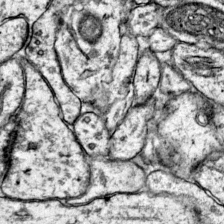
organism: Mouse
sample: Primary visual cortex